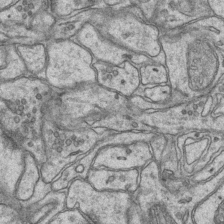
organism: Mouse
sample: CA1 Hippocampus